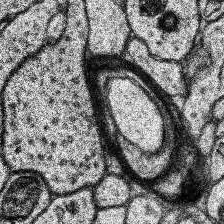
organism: Human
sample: Temporal Lobe